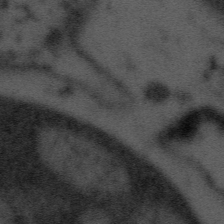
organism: Tuwongella immobilis